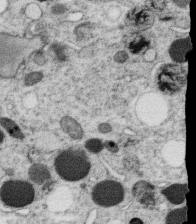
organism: C. elegans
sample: C. elegans oocyte; sperm cells